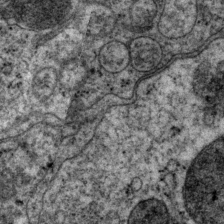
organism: P. pacificus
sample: Pharynx